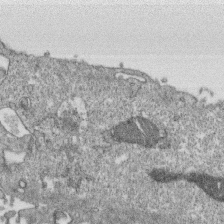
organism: African green monkey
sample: Vero E6 cells infected with SARS-CoV-2